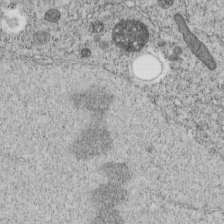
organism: C. elegans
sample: C. elegans embryo early stage